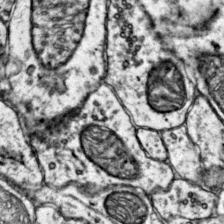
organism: Mouse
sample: Primary visual cortex